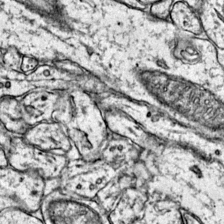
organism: Mouse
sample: Primary visual cortex